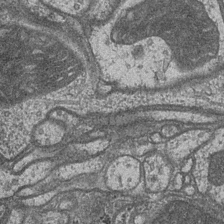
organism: Drosophila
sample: Optic medulla